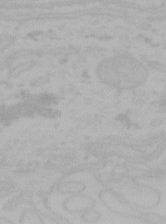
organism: Mouse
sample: Choroid plexus